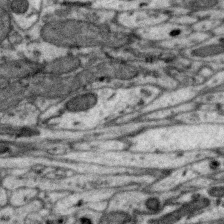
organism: Zebra finch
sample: Brain